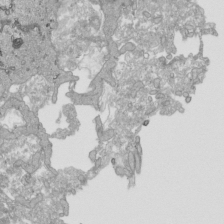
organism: Human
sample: Mitochondria in HCT116 cells